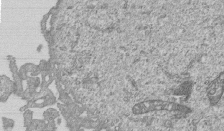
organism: Human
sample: MDA-MB-231 cells